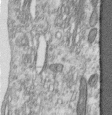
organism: Human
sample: Centriole in RPE cells